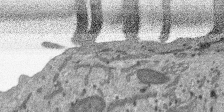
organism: Human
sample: Lung epithelial cells infected with SARS-CoV-2